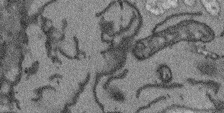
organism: Arabidopsis thaliana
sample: Root tip